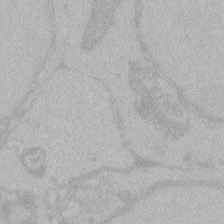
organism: Zebrafish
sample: Macrophage infected with Toxoplasma gondii